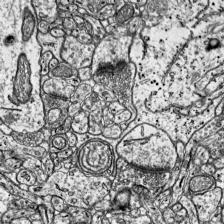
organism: Mouse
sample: Visual Cortex